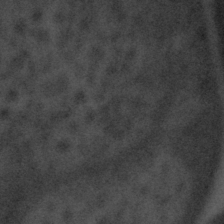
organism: Tuwongella immobilis